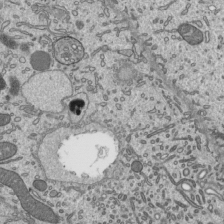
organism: Mouse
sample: Mouse epididymis efferent ductule cilia